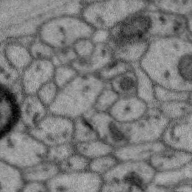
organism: Zebra finch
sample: Brain